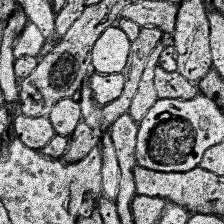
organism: Human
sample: Temporal Lobe